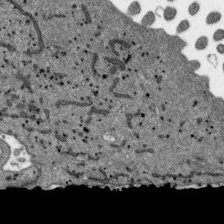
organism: Human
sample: Lung epithelial cells, uninfected (mock) control